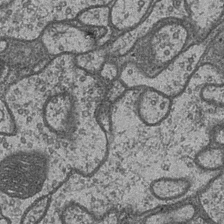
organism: Drosophila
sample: Optic medulla